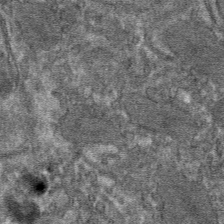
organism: Mouse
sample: Mouse hepatocytes